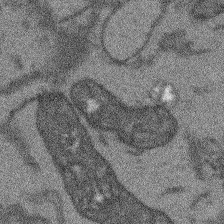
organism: Arabidopsis thaliana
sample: Root tip